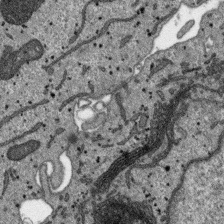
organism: Human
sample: Lung epithelial cells, uninfected (mock) control